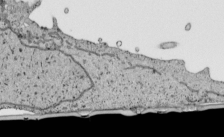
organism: Human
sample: Mitochondria in HCT116 cells